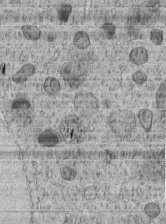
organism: C. elegans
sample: C. elegans embryo early stage